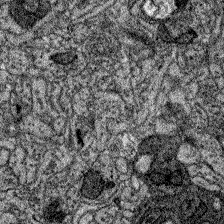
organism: Zebrafish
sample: Larval olfactory bulb